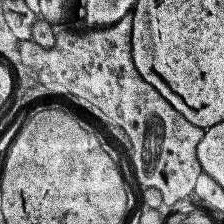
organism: Human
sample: Temporal Lobe